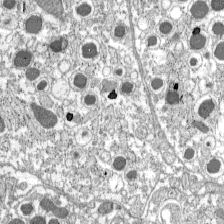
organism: C57BL Mouse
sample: Pancreatic islet